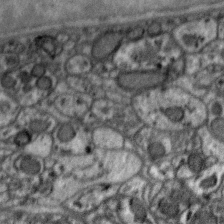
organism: Zebra finch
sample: Brain